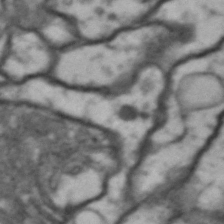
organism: Drosophila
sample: Brain